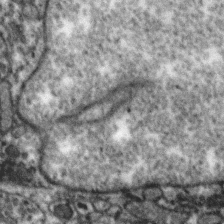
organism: Zebra finch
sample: Brain